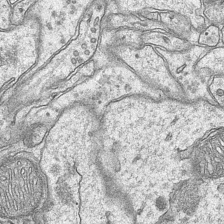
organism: Mouse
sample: CA1 Hippocampus